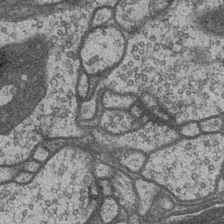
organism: Drosophila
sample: Optic medulla